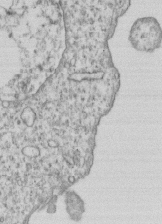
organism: Human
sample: MDA-MB-231 cells